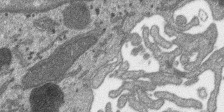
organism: Human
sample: Lung epithelial cells infected with SARS-CoV-2